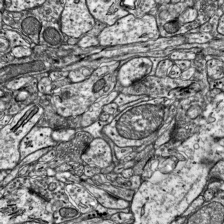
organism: Mouse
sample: Visual Cortex